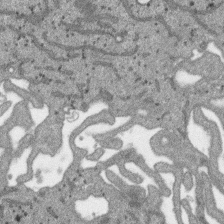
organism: Human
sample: Lung epithelial cells infected with SARS-CoV-2